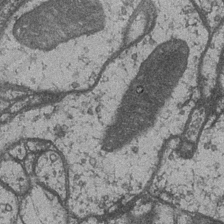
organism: Drosophila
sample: Optic medulla